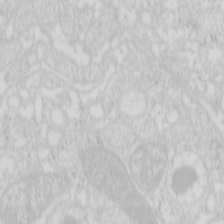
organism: Mouse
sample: Pancreas